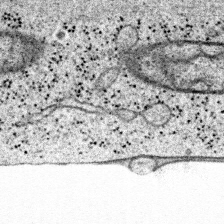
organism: Human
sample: HeLa cells